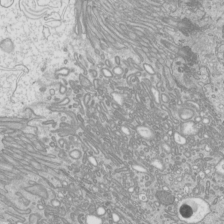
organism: Mouse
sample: Cilia; mouse epididymis